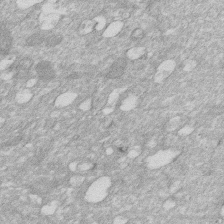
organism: Human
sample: HIV infected U937 cells